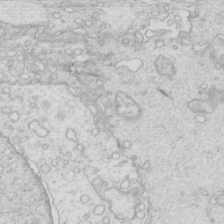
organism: Mouse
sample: Multiciliated cells